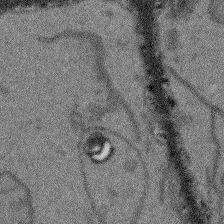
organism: Arabidopsis thaliana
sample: Root tip